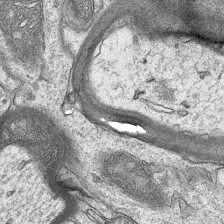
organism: Mouse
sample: CA1 Hippocampus